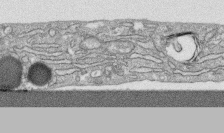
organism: Human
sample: CRL-1474